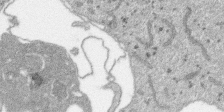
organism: Human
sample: Lung epithelial cells infected with SARS-CoV-2